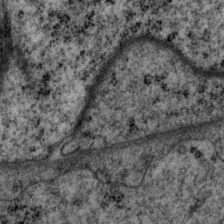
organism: P. pacificus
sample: Pharynx